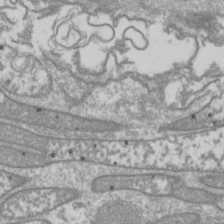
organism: Drosophila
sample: Cell division; meiosis; drosophila spermatocytes